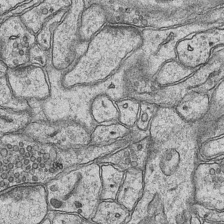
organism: Mouse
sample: CA1 Hippocampus